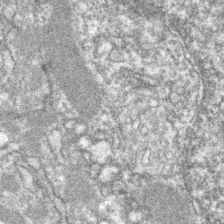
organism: Zebrafish